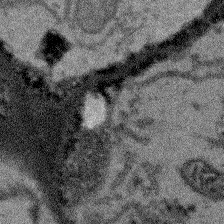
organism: Arabidopsis thaliana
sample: Root tip